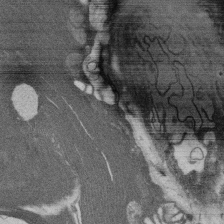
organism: Rat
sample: Salivary granule